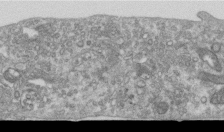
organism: Human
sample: Centriole in RPE cells